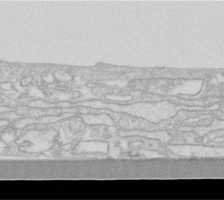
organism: Human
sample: Fibroblast cells